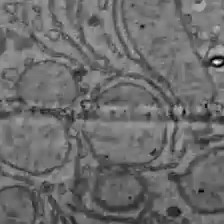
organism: C57BL Mouse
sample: Liver